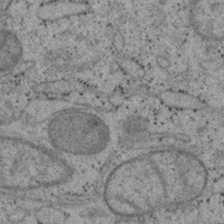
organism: Human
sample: HeLa cells